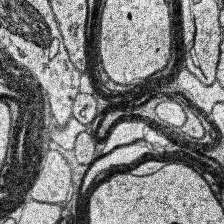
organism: Human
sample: Temporal Lobe